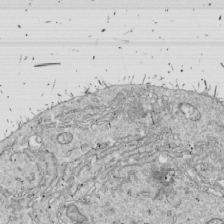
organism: Drosophila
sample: Cell division; meiosis; drosophila spermatocytes